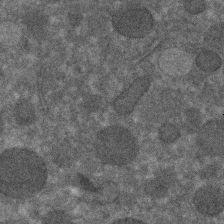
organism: C. elegans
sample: C. elegans embryo